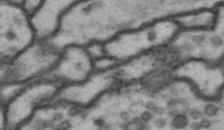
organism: Drosophila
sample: Brain